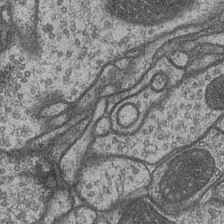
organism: Drosophila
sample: Optic medulla